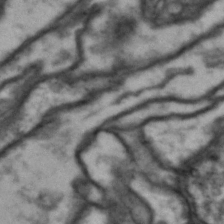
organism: Drosophila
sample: Brain